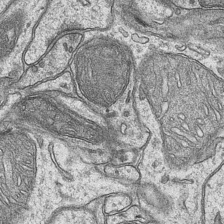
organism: Mouse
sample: CA1 Hippocampus